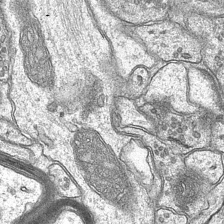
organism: Mouse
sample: CA1 Hippocampus